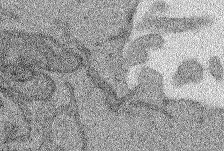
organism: Human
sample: HeLa cells